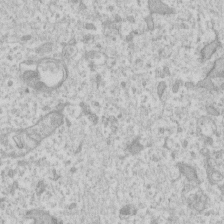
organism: Human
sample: Fibroblast cells